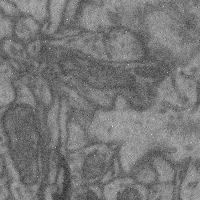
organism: Mouse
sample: Cerebral cortex